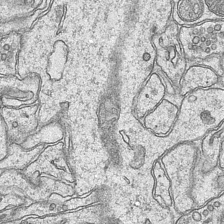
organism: Mouse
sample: CA1 Hippocampus